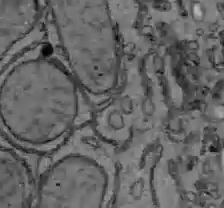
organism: C57BL Mouse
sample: Liver